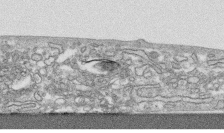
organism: Human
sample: CRL-1474